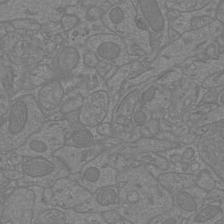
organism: Mouse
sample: Cortical neurons